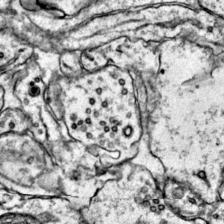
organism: Mouse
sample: Primary visual cortex